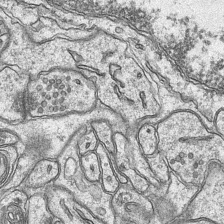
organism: Mouse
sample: CA1 Hippocampus